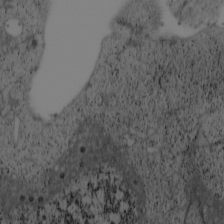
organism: African green monkey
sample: COS-7 cells